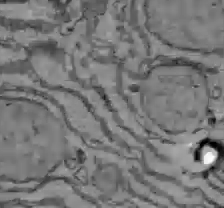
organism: C57BL Mouse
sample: Liver